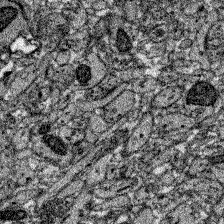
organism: Zebrafish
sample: Larval olfactory bulb